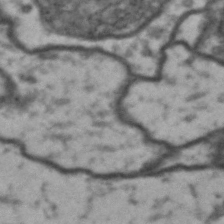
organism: Drosophila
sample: Brain